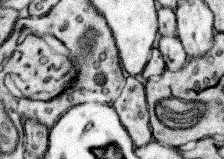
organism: Mouse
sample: Somatosensory cortex neuropil